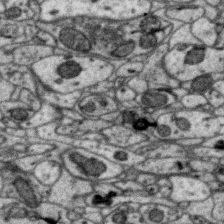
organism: Zebra finch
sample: Brain